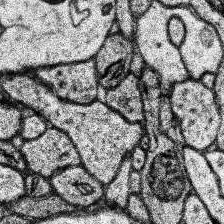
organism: Human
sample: Temporal Lobe